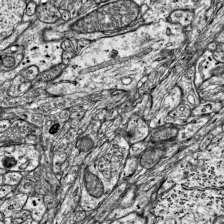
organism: Mouse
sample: Visual Cortex